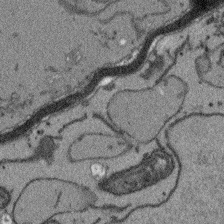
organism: Arabidopsis thaliana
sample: Root tip